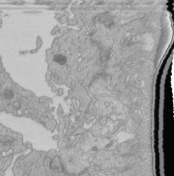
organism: Human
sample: Retinal organoid Rod and Cone cells